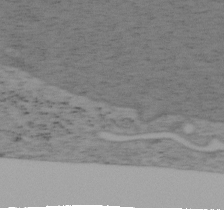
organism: Mouse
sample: OT-I killer T cells with ID8 ovarian cancer cells